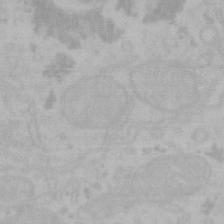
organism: Mouse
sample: Choroid plexus